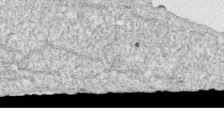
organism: Human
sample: HeLa cell HIV synapse